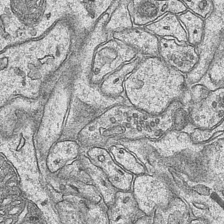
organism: Mouse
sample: CA1 Hippocampus